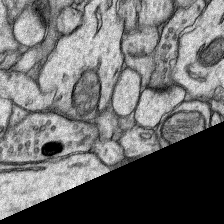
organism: Rat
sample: Hippocampus